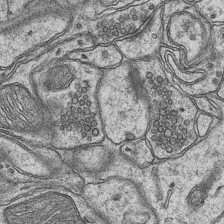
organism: Mouse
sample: CA1 Hippocampus